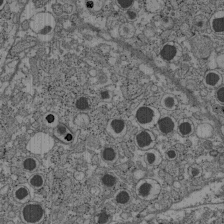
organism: C57BL Mouse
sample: Pancreatic islet